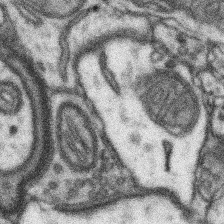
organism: Mouse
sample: Somatosensory cortex neuropil